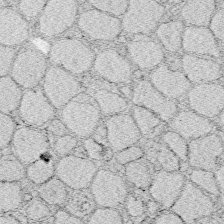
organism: Zebrafish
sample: Whole-Brain